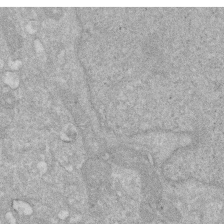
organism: Human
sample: HIV infected U937 cells